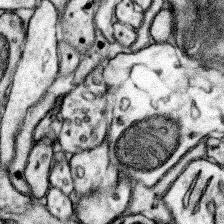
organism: Mouse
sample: Somatosensory cortex neuropil